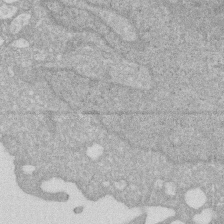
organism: Human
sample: HIV infected U937 cells